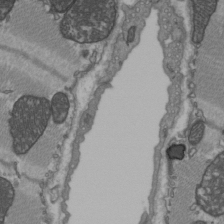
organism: C57BL Mouse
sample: Heart